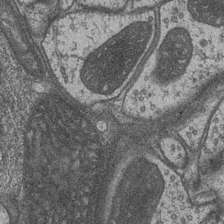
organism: Drosophila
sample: Optic medulla